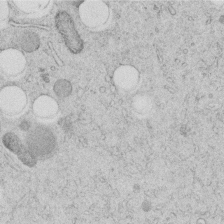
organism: C. elegans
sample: C. elegans embryo early stage